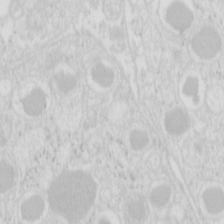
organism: Mouse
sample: Pancreas